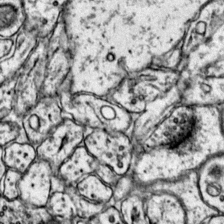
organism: Mouse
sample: Primary visual cortex